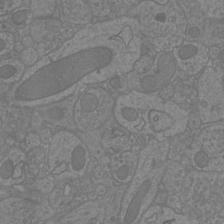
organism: Mouse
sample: Cortical neurons